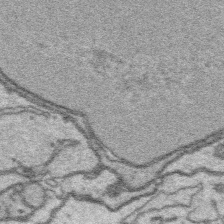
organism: Platynereis dumerilii